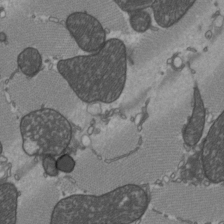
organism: C57BL Mouse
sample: Heart